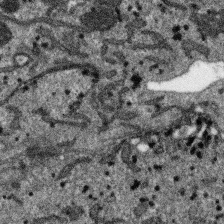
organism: Human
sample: Lung epithelial cells infected with SARS-CoV-2